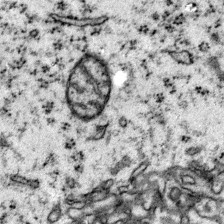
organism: Mouse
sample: Primary visual cortex